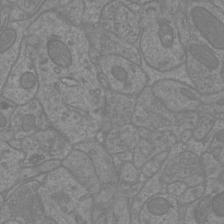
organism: Mouse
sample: Cortical neurons